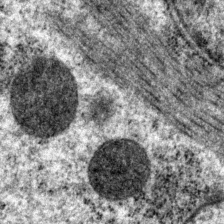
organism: P. pacificus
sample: Pharynx